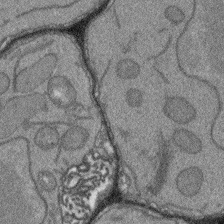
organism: Arabidopsis thaliana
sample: Root tip